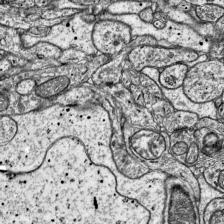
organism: Mouse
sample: Visual Cortex